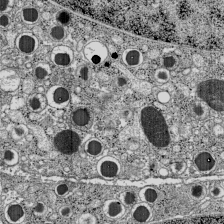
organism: C57BL Mouse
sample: Pancreatic islet